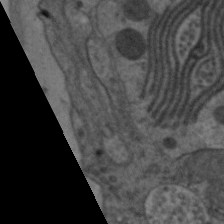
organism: C. elegans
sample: Pharynx